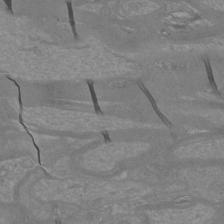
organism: Mouse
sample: Cortical neurons